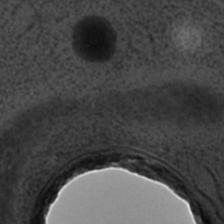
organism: C. elegans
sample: C. elegans embryo